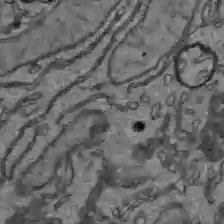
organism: C57BL Mouse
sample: Liver